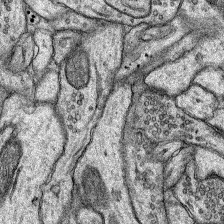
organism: Rat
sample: Hippocampus